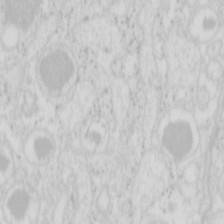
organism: Mouse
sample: Pancreas